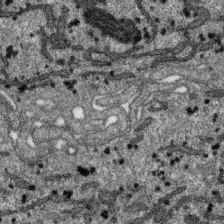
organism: Human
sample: Lung epithelial cells infected with SARS-CoV-2